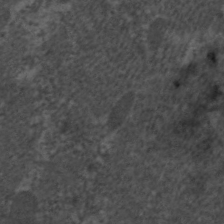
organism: C. elegans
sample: Pharynx